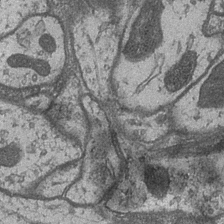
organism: Drosophila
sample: Optic medulla